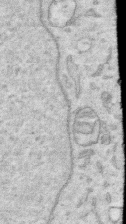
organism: Human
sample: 1205lu cells